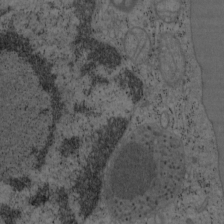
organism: Mouse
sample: OT-I killer T cells with ID8 ovarian cancer cells